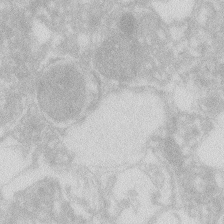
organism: Zebrafish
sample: Macrophage